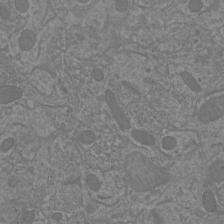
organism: Mouse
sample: Cortical neurons